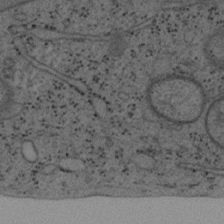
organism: Human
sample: HeLa cells